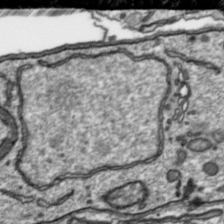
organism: Toxoplasma gondii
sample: Parasites in a vacuole inside a host cell